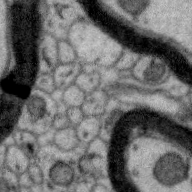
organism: Zebra finch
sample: Brain